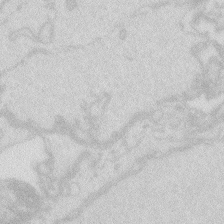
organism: Zebrafish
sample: Macrophage